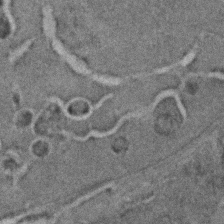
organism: C. elegans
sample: C. elegans embryo